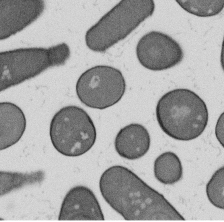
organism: B. subtilis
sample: Bacterial spore